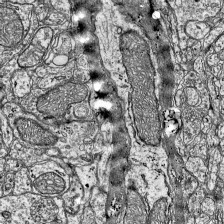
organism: Mouse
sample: Visual Cortex